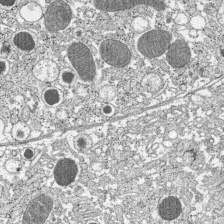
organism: C57BL Mouse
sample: Pancreatic islet